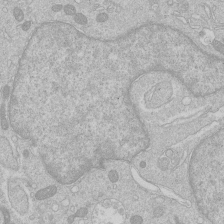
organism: Human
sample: Macrophage cells